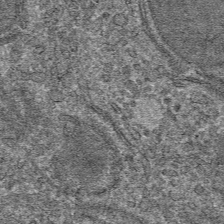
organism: Mouse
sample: Mouse hepatocytes